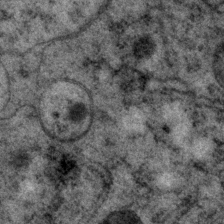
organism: P. pacificus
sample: Pharynx